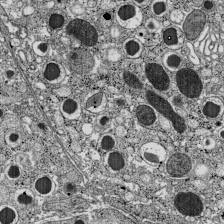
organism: C57BL Mouse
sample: Pancreatic islet